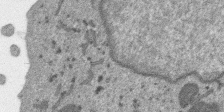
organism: Human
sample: Lung epithelial cells infected with SARS-CoV-2